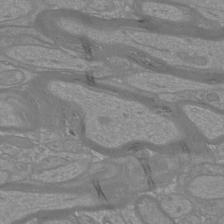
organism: Mouse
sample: Cortical neurons